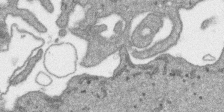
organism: Human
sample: Lung epithelial cells infected with SARS-CoV-2